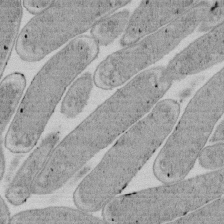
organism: E. coli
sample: Bacterial nucleoid